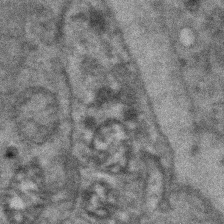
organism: Zebrafish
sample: Zebrafish embryo